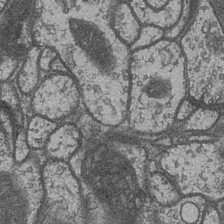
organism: Drosophila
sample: Optic medulla